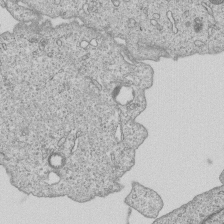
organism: Human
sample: MDA-MB-231 cells